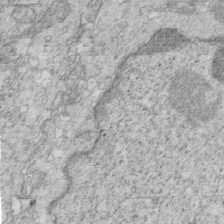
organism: Mouse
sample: Multiciliated cells